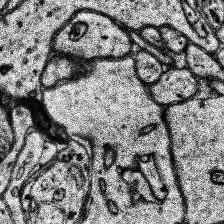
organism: Human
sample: Temporal Lobe